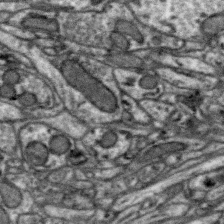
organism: Zebra finch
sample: Brain